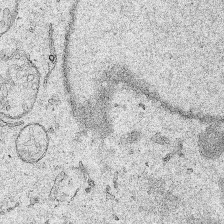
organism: Human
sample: Mitochondria in HCT116 cells